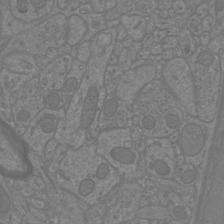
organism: Mouse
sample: Cortical neurons